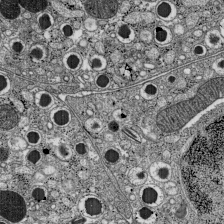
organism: C57BL Mouse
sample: Pancreatic islet